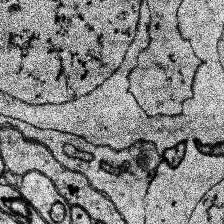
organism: Human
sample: Temporal Lobe